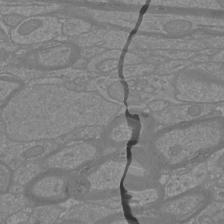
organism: Mouse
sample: Cortical neurons